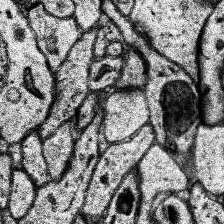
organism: Human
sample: Temporal Lobe